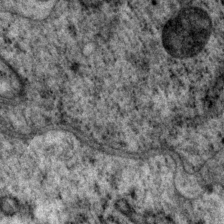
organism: P. pacificus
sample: Pharynx